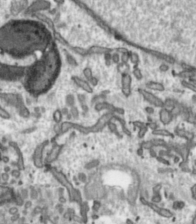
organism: Toxoplasma gondii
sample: Parasites in a vacuole inside a host cell